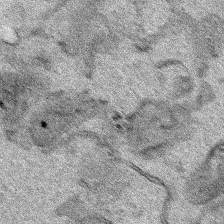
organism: Human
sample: Mitochondria in HCT116 cells